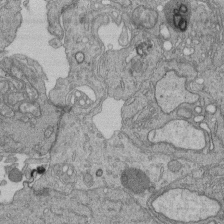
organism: Human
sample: Retinal organoid Rod and Cone cells